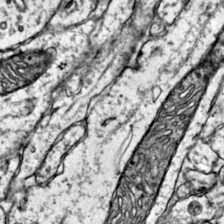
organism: Mouse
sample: Primary visual cortex